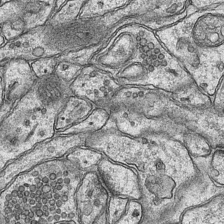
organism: Mouse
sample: CA1 Hippocampus